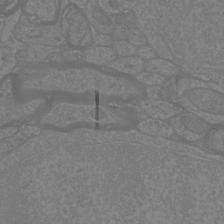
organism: Mouse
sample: Cortical neurons